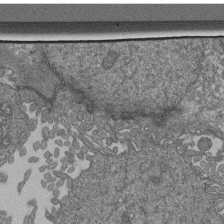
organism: Human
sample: Retinal organoid Rod and Cone cells